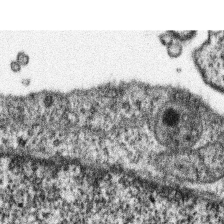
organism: Human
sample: HeLa cells